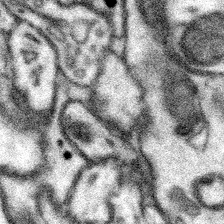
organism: Mouse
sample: Somatosensory cortex neuropil